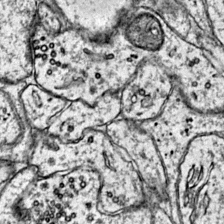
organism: Mouse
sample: Primary visual cortex